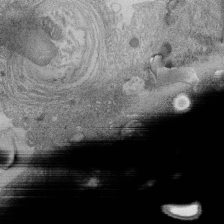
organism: Human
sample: Retinal organoid Rod and Cone cells